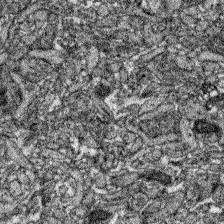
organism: Zebrafish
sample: Larval olfactory bulb